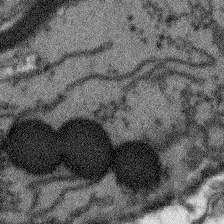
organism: Arabidopsis thaliana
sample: Root tip